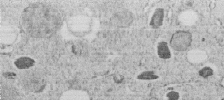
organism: C. elegans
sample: C. elegans embryo early stage